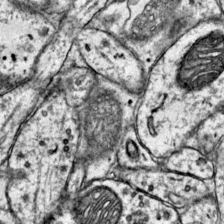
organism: Mouse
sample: Primary visual cortex